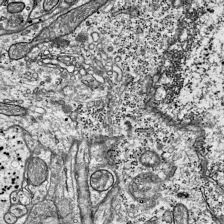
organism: Mouse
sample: Visual Cortex